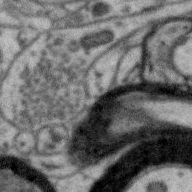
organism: Zebra finch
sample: Brain